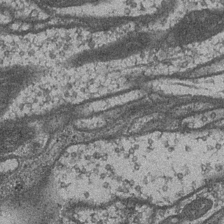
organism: Drosophila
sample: Optic medulla